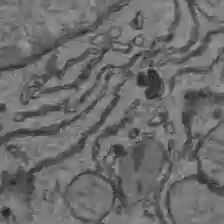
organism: C57BL Mouse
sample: Liver